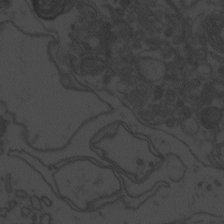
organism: Zebrafish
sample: Macrophage infected with Toxoplasma gondii